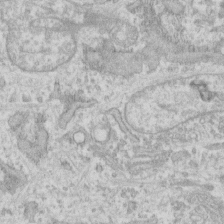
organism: Human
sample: Fibroblast cells